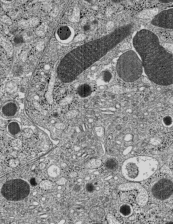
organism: C57BL Mouse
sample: Pancreatic islet